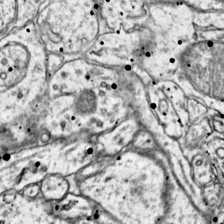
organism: Mouse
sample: Primary visual cortex